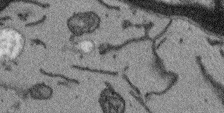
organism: Arabidopsis thaliana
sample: Root tip